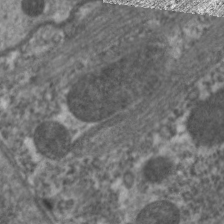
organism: C. elegans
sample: Pharynx